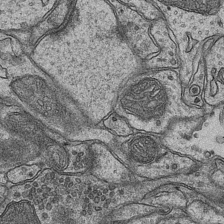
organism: Mouse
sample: CA1 Hippocampus